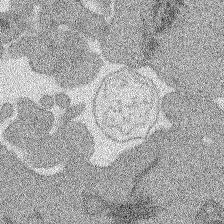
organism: Human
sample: HeLa cells